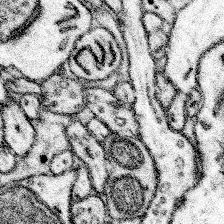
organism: Mouse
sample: Somatosensory cortex neuropil